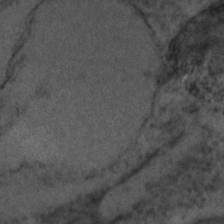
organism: C. elegans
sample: C. elegans embryo